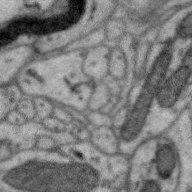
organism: Zebra finch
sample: Brain